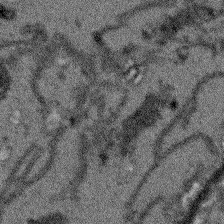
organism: Arabidopsis thaliana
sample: Root tip